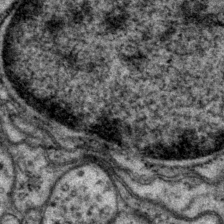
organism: P. pacificus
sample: Pharynx